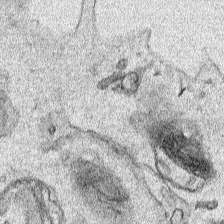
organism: Human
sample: Mitochondria in HCT116 cells